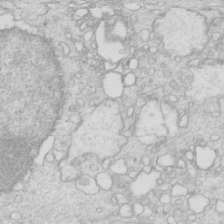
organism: Mouse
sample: Multiciliated cells